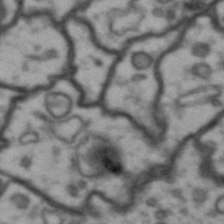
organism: Drosophila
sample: Brain